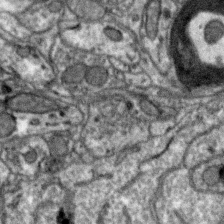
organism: Zebra finch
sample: Brain